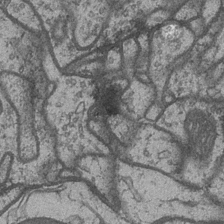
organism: Drosophila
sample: Optic medulla